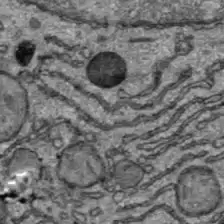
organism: C57BL Mouse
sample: Liver